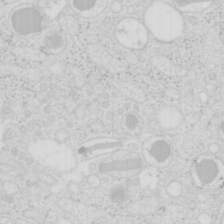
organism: Mouse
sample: Pancreas